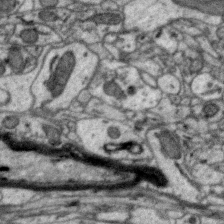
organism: Zebra finch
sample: Brain